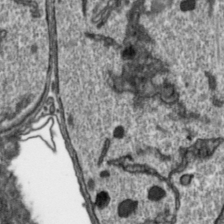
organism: Toxoplasma gondii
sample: Parasites in a vacuole inside a host cell